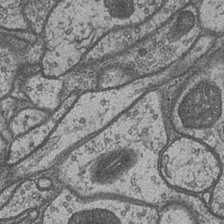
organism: Drosophila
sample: Optic medulla